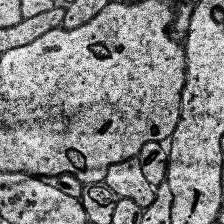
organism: Human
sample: Temporal Lobe